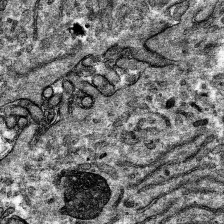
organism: Mouse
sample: Mouse hepatocytes